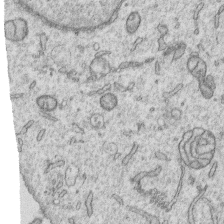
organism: Human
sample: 1205lu cells